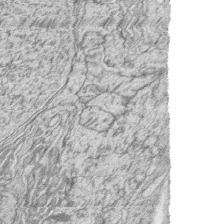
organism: Zebrafish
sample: synaptic ribbons in rod cells and cone cells